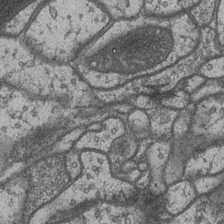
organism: Drosophila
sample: Optic medulla